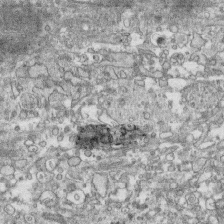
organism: Human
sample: CRL-1474